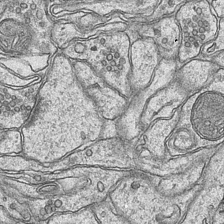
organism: Mouse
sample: CA1 Hippocampus